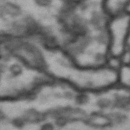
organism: Drosophila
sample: Brain